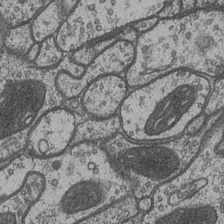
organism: Drosophila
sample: Optic medulla